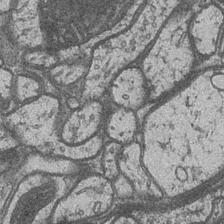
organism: Drosophila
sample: Optic medulla